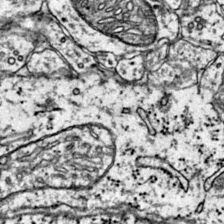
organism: Mouse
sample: Primary visual cortex